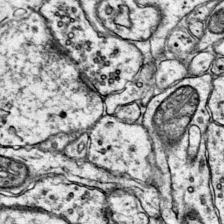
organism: Mouse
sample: Primary visual cortex